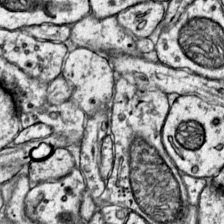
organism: Mouse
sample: Primary visual cortex